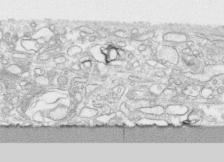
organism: Human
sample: CRL-1474